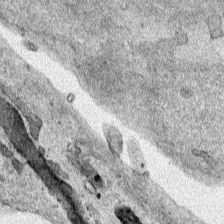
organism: Human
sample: Mitochondria in HCT116 cells